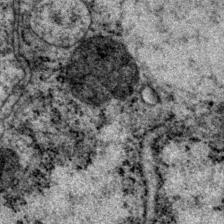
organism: P. pacificus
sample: Pharynx